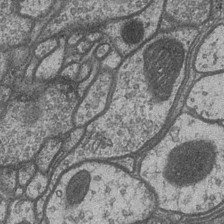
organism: Drosophila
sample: Optic medulla